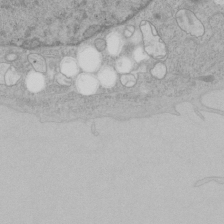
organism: Human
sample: Mitochondria in HCT116 cells